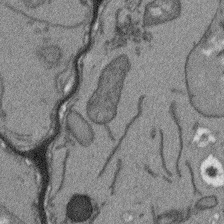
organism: Arabidopsis thaliana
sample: Root tip